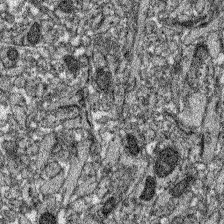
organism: Zebrafish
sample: Larval olfactory bulb